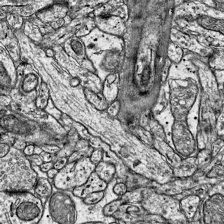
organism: Mouse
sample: Visual Cortex